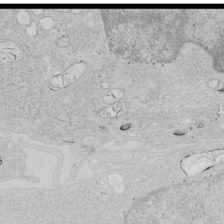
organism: Human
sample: Mitochondria in HCT116 cells